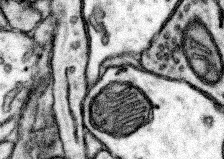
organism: Mouse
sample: Somatosensory cortex neuropil